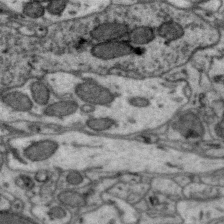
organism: Zebra finch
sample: Brain